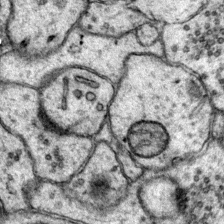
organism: Mouse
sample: Primary visual cortex